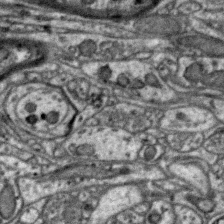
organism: Zebra finch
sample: Brain